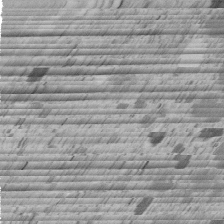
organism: C. elegans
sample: C. elegans embryo early stage